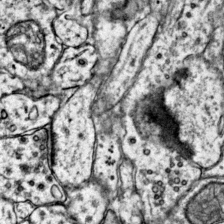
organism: Mouse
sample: Primary visual cortex